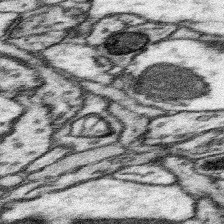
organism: Mouse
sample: Somatosensory cortex neuropil